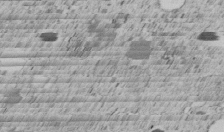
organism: C. elegans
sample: C. elegans embryo early stage